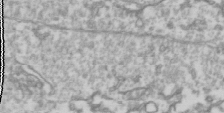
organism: Drosophila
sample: Cell division; meiosis; drosophila spermatocytes